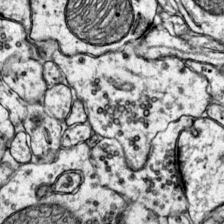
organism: Mouse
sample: Primary visual cortex